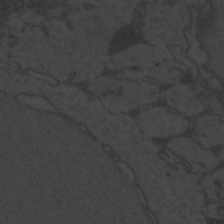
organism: Zebrafish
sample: Macrophage infected with Toxoplasma gondii